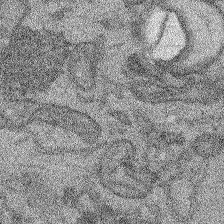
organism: Human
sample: HeLa cells